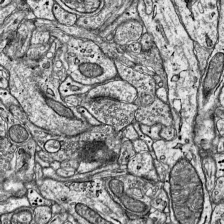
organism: Mouse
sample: Visual Cortex